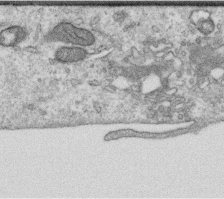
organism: Human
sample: Centriole in RPE cells